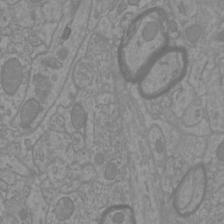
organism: Mouse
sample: Cortical neurons